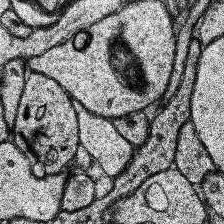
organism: Human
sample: Temporal Lobe